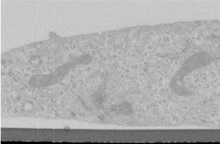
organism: Human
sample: Centriole in RPE cells